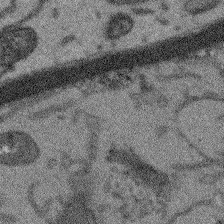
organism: Arabidopsis thaliana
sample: Root tip